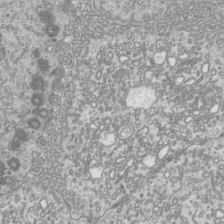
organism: Mouse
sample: Cilia; mouse epididymis